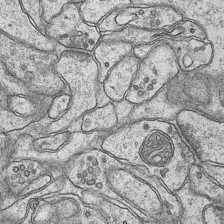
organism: Mouse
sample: CA1 Hippocampus